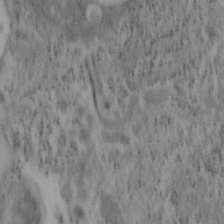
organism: Mouse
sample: OT-I killer T cells with ID8 ovarian cancer cells